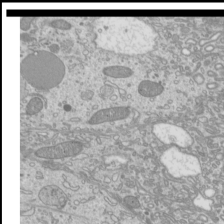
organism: Mouse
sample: Cilia; mouse epididymis